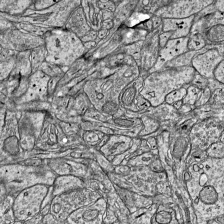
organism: Mouse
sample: Visual Cortex